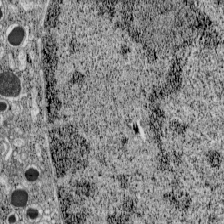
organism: C57BL Mouse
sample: Pancreatic islet